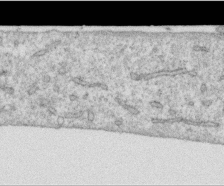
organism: Human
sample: Centriole in RPE cells